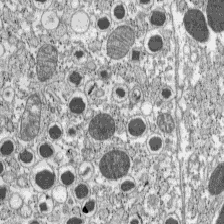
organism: C57BL Mouse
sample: Pancreatic islet